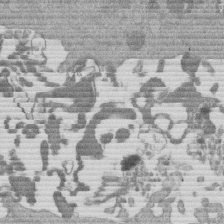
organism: Mouse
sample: Dividing mouse embryo 1 cell stage